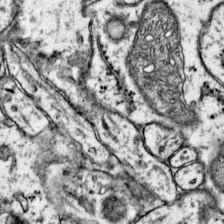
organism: Mouse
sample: Primary visual cortex